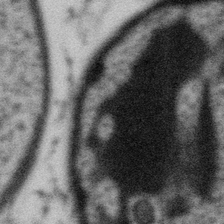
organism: Gemmata obscuriglobus